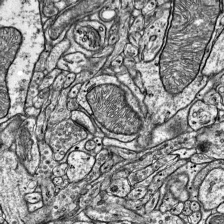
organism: Mouse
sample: Visual Cortex